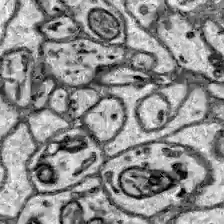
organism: Zebrafish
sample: Brain